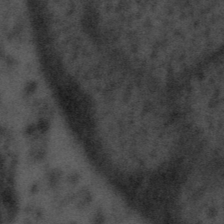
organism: Tuwongella immobilis